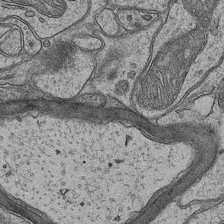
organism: Mouse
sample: CA1 Hippocampus